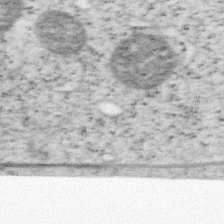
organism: Mouse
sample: OT-I killer T cells with ID8 ovarian cancer cells